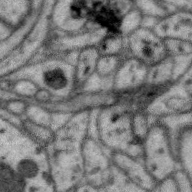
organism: Zebra finch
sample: Brain